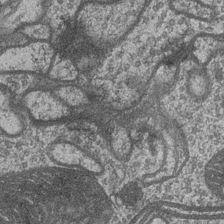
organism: Drosophila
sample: Optic medulla